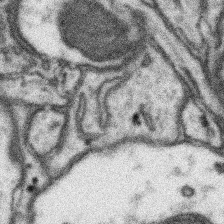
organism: Mouse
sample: Somatosensory cortex neuropil